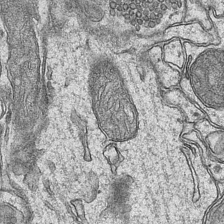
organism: Mouse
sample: CA1 Hippocampus